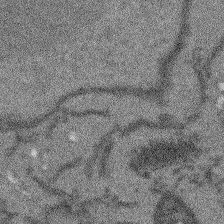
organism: Arabidopsis thaliana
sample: Root tip